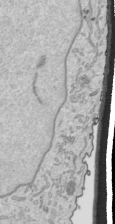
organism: Human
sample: Mitochondria in HCT116 cells